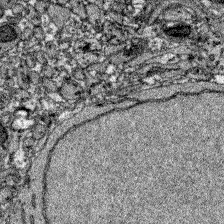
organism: Zebrafish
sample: Larval olfactory bulb